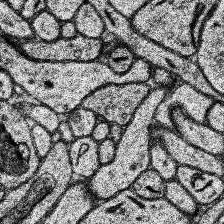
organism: Human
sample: Temporal Lobe